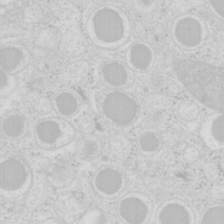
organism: Mouse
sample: Pancreas